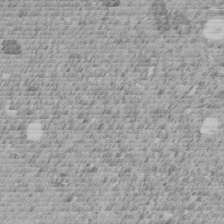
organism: C. elegans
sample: C. elegans embryo early stage